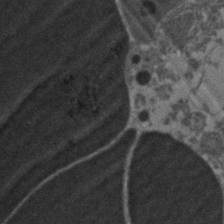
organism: Zebrafish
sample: Zebrafish embryo